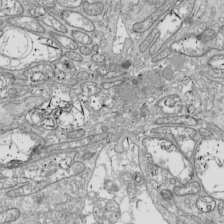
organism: Drosophila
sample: Cell division; meiosis; drosophila spermatocytes